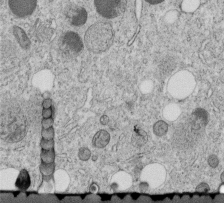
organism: C. elegans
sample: C. elegans embryo early stage